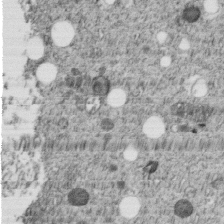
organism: C. elegans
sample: C. elegans embryo early stage